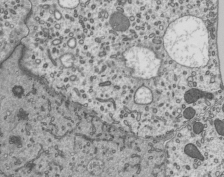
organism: Mouse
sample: Mouse epididymis efferent ductule cilia